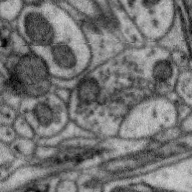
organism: Zebra finch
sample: Brain